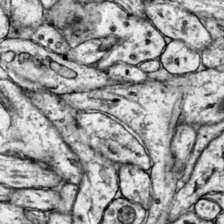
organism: Mouse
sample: Primary visual cortex